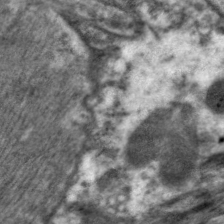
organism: C. elegans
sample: Pharynx